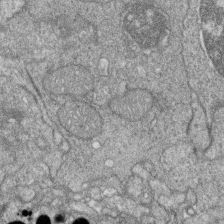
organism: Zebrafish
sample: Cilia; retinal pigment epithelium